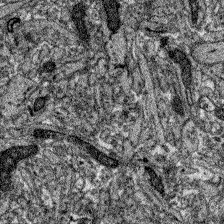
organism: Zebrafish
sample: Larval olfactory bulb